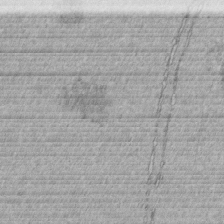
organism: C. elegans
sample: C. elegans embryo early stage